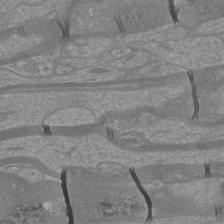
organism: Mouse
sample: Cortical neurons